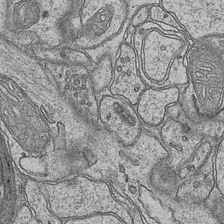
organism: Mouse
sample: CA1 Hippocampus